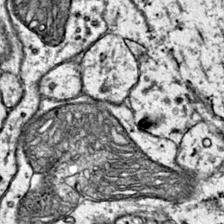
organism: Mouse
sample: Primary visual cortex